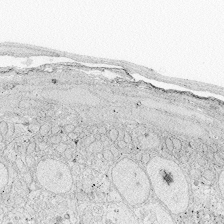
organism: Zebrafish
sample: Whole-Brain